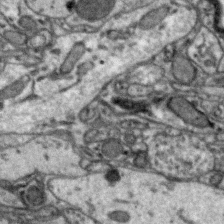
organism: Zebra finch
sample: Brain